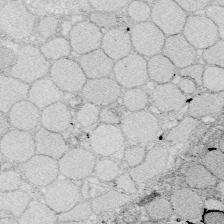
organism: Zebrafish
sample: Whole-Brain